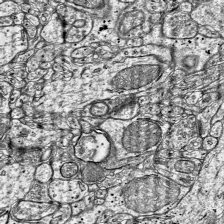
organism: Mouse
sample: Visual Cortex